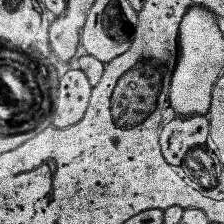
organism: Human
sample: Temporal Lobe